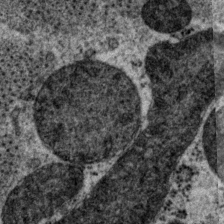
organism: P. pacificus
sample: Pharynx